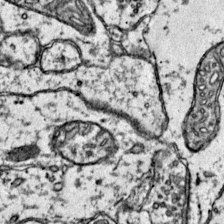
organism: Mouse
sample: Primary visual cortex